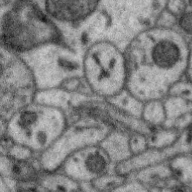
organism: Zebra finch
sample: Brain